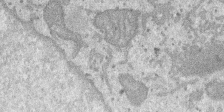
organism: Human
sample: Lung epithelial cells infected with SARS-CoV-2